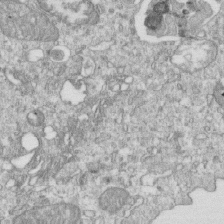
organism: Mouse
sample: Activated OT-1 CD8+ T cells